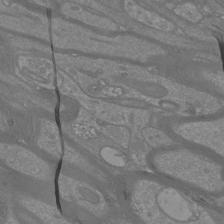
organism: Mouse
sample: Cortical neurons